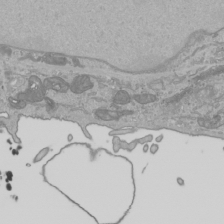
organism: Human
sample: Mitochondria in HCT116 cells